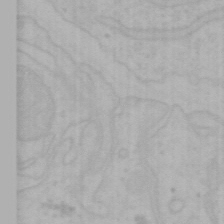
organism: Mouse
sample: Choroid plexus